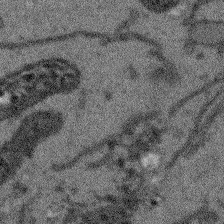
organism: Arabidopsis thaliana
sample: Root tip